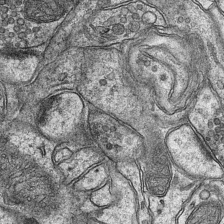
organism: Mouse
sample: CA1 Hippocampus